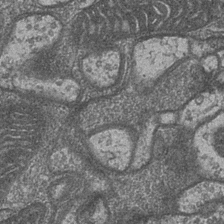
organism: Drosophila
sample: Optic medulla